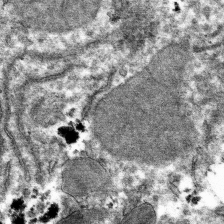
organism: Mouse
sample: Mouse hepatocytes